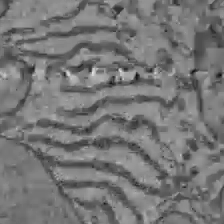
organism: C57BL Mouse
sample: Liver